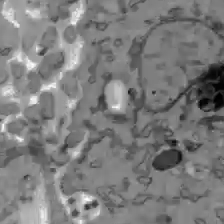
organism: C57BL Mouse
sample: Liver